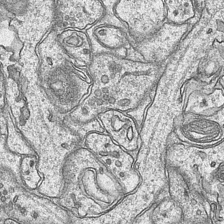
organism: Mouse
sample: CA1 Hippocampus